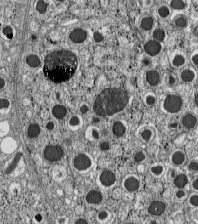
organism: C57BL Mouse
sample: Pancreatic islet